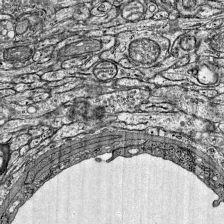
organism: Mouse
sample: Visual Cortex